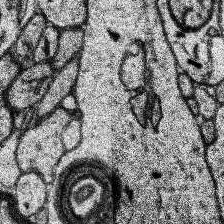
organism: Human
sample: Temporal Lobe